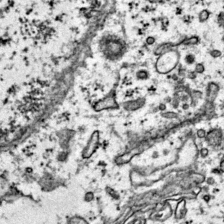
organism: Mouse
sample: Primary visual cortex